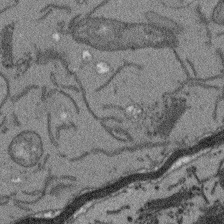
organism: Arabidopsis thaliana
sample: Root tip